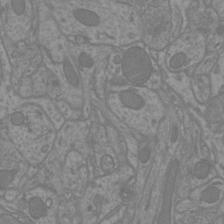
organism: Mouse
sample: Cortical neurons